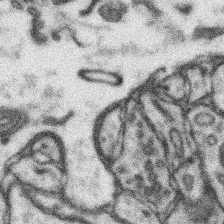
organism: Mouse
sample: Somatosensory cortex neuropil